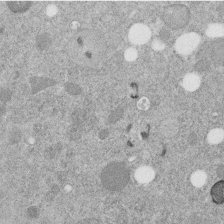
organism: C. elegans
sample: C. elegans embryo early stage